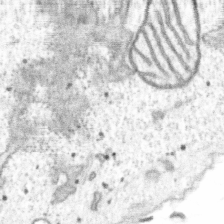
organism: Human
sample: HeLa cells